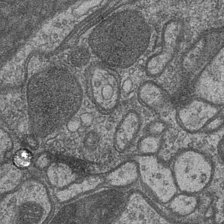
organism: Drosophila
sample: Optic medulla